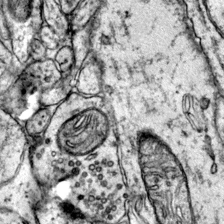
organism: Mouse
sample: Primary visual cortex